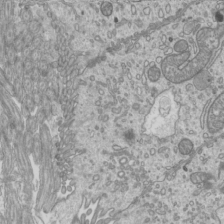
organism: Mouse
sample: Cilia; mouse epididymis